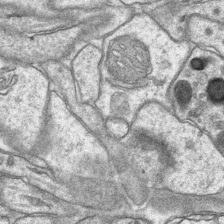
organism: Mouse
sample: CA1 Hippocampus